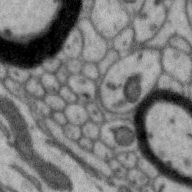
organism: Zebra finch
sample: Brain